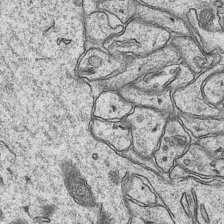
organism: Mouse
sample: CA1 Hippocampus